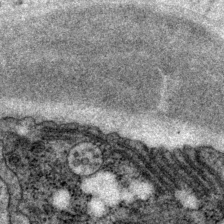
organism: P. pacificus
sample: Pharynx